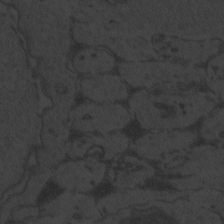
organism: Zebrafish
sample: Macrophage infected with Toxoplasma gondii